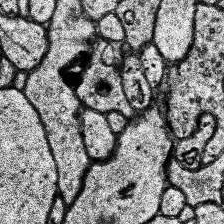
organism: Human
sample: Temporal Lobe